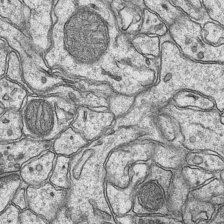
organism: Mouse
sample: CA1 Hippocampus